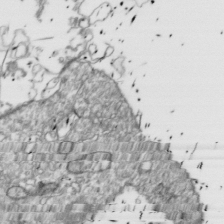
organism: Drosophila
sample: Cell division; meiosis; drosophila spermatocytes